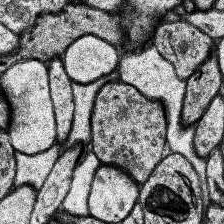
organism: Human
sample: Temporal Lobe